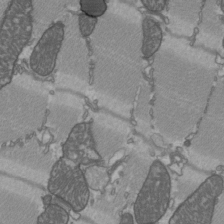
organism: C57BL Mouse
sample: Heart